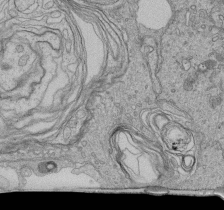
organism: Human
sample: Retinal organoid Rod and Cone cells